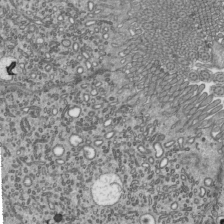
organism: Mouse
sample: Mouse epididymis efferent ductule cilia